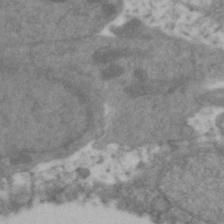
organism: Zebrafish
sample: Zebrafish embryo